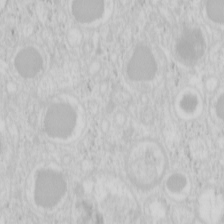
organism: Mouse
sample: Pancreas